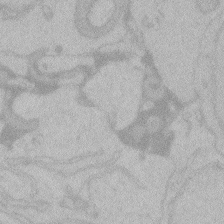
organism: Zebrafish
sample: Macrophage infected with Toxoplasma gondii